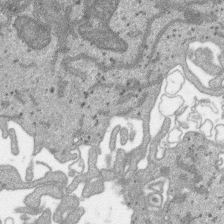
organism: Human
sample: Lung epithelial cells infected with SARS-CoV-2